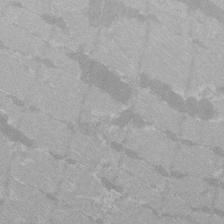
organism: C57BL Mouse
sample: Tibialis anterior muscle cell